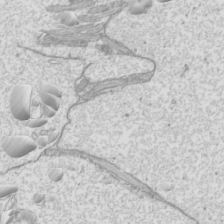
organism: Mouse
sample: Cilia; mouse epididymis